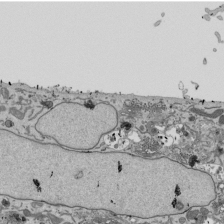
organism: Mouse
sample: ED-1 cell nuclei; centrioles